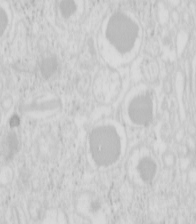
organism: Mouse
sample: Pancreas